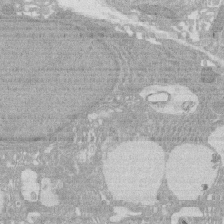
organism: Rat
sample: Salivary granule